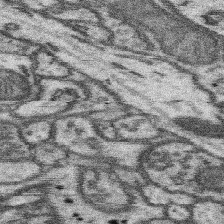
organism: Mouse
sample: Somatosensory cortex neuropil